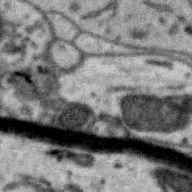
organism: Zebra finch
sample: Brain